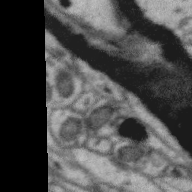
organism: Zebra finch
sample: Brain